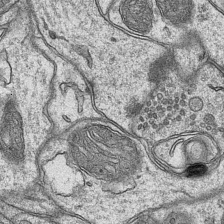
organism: Mouse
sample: CA1 Hippocampus